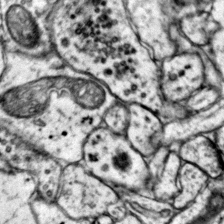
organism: Mouse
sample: Primary visual cortex